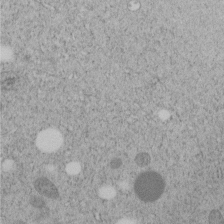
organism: C. elegans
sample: C. elegans embryo early stage